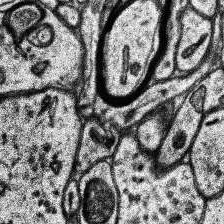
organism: Human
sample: Temporal Lobe